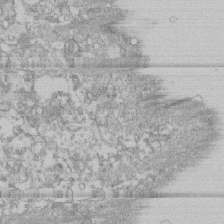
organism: Human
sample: CRL-1474